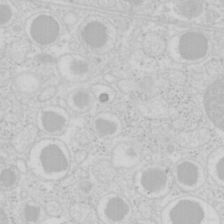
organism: Mouse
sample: Pancreas